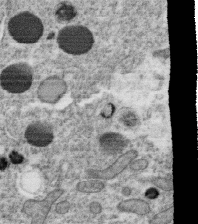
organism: C. elegans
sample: C. elegans oocyte; sperm cells